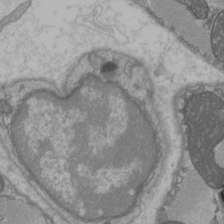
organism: C57BL Mouse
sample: Heart